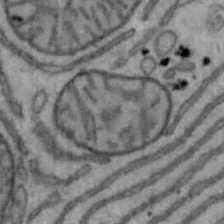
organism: Mouse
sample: Liver